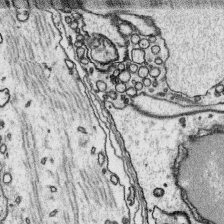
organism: Platynereis dumerilii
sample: Parapodia